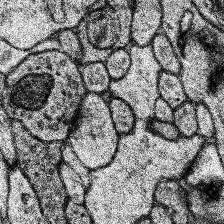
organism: Human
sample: Temporal Lobe